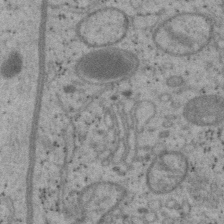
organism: Human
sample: HeLa cells